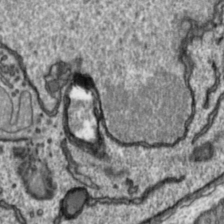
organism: Toxoplasma gondii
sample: Parasites in a vacuole inside a host cell